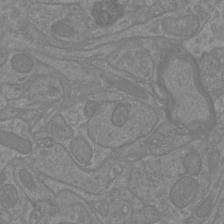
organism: Mouse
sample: Cortical neurons